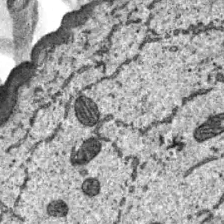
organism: Human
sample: HeLa cells